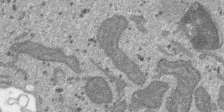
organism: Human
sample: Lung epithelial cells infected with SARS-CoV-2